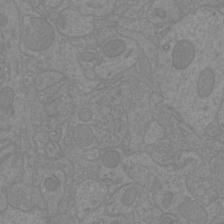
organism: Mouse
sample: Cortical neurons